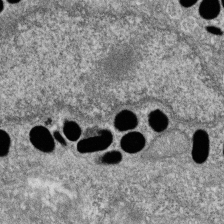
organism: Zebrafish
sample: Cilia; retinal pigment epithelium